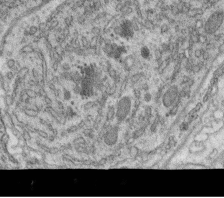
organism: C. elegans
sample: C. elegans oocyte; sperm cells